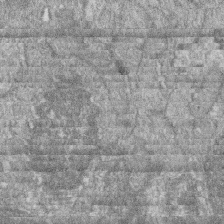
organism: Zebrafish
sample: Cilia; retinal pigment epithelium